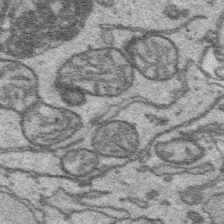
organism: Platynereis dumerilii